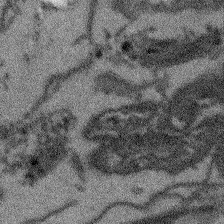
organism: Arabidopsis thaliana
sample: Root tip